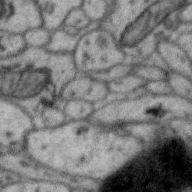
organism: Zebra finch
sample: Brain